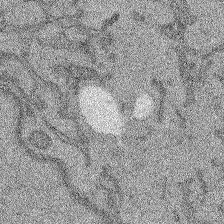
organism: Human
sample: HeLa cells